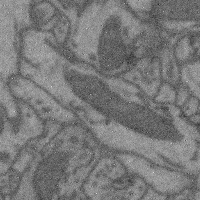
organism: Mouse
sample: Cerebral cortex